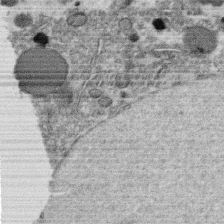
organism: C. elegans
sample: C. elegans oocyte; sperm cells